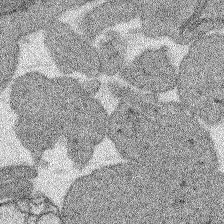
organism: Human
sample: HeLa cells